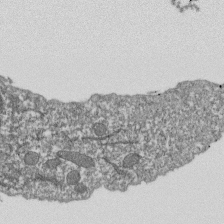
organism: Dictyostelium discoideum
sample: Dictyostelium multivesicular bodies